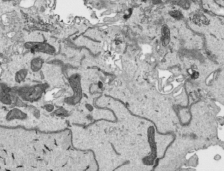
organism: Human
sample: Mitochondria in HCT116 cells